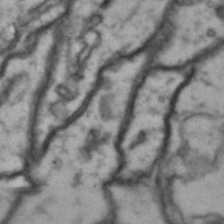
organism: Drosophila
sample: Brain